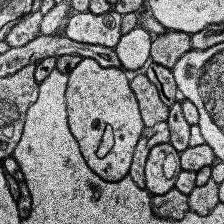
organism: Human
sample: Temporal Lobe